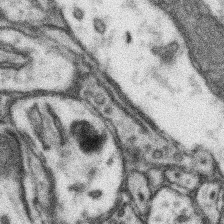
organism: Mouse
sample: Somatosensory cortex neuropil